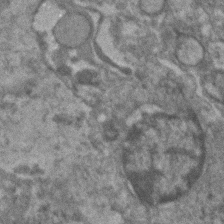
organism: Human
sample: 1205lu cells